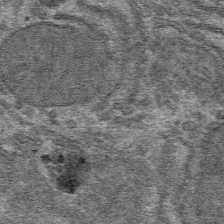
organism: Mouse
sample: Mouse hepatocytes